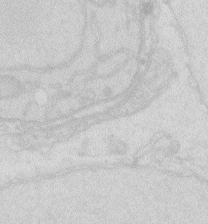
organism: Zebrafish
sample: Macrophage